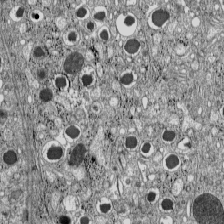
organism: C57BL Mouse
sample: Pancreatic islet